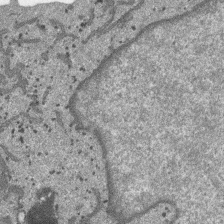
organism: Human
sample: Lung epithelial cells infected with SARS-CoV-2